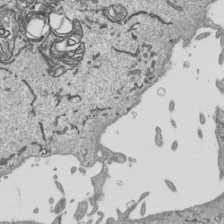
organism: Human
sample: Mitochondria in HCT116 cells